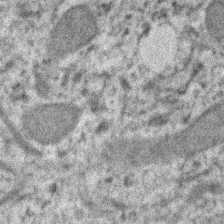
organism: Human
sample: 1205lu cells